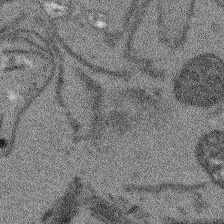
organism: Arabidopsis thaliana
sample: Root tip